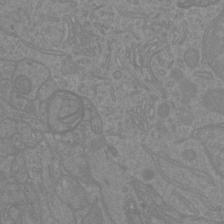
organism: Mouse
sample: Cortical neurons